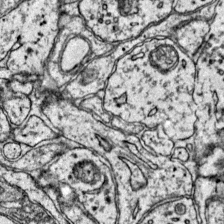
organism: Mouse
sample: Primary visual cortex